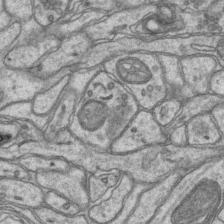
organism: Mouse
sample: CA1 Hippocampus